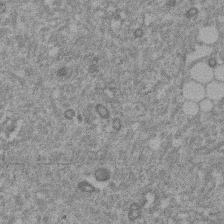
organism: Mouse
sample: Dividing mouse embryo 1 cell stage